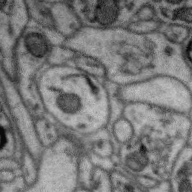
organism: Zebra finch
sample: Brain